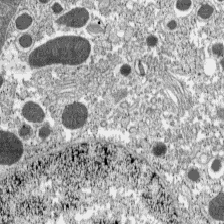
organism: C57BL Mouse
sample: Pancreatic islet